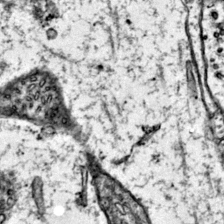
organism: Mouse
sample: Primary visual cortex